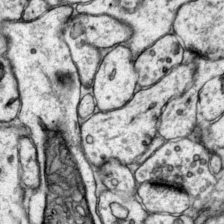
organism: Mouse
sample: Primary visual cortex